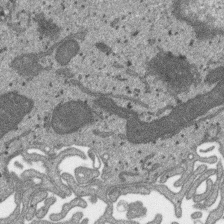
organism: Human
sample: Lung epithelial cells infected with SARS-CoV-2